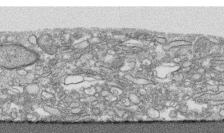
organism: Human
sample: CRL-1474